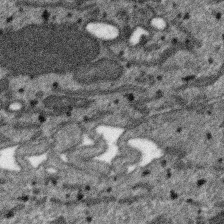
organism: Human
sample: Lung epithelial cells infected with SARS-CoV-2